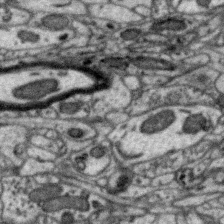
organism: Zebra finch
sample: Brain